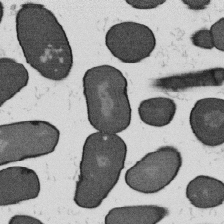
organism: B. subtilis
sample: Bacterial spore